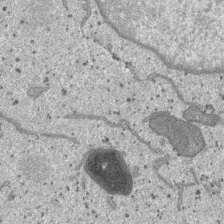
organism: Human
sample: Lung epithelial cells infected with SARS-CoV-2